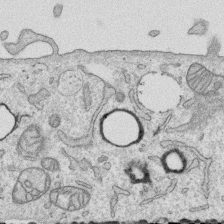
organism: Human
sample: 1205lu cells